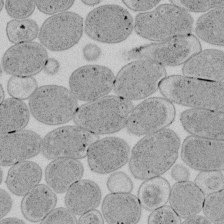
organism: E. coli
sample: Bacterial nucleoid